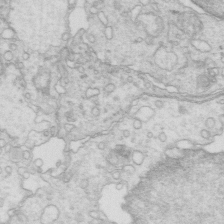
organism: Mouse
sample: Multiciliated cells